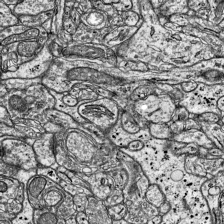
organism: Mouse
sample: Visual Cortex